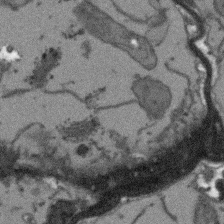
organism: Arabidopsis thaliana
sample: Root tip